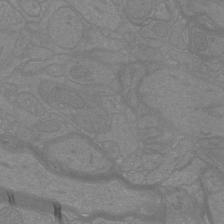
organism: Mouse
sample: Cortical neurons